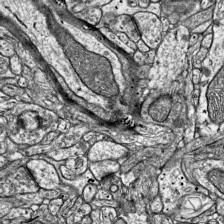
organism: Mouse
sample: Visual Cortex